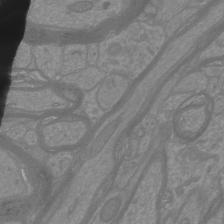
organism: Mouse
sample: Cortical neurons